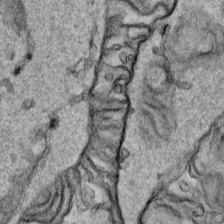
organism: Human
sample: Mitochondria in HCT116 cells